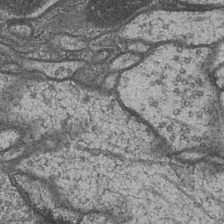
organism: Drosophila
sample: Optic medulla